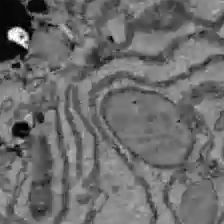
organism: C57BL Mouse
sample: Liver